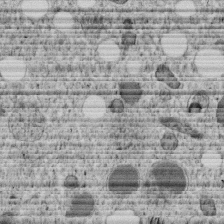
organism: C. elegans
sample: C. elegans embryo early stage